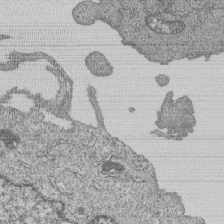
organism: Human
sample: MDA-MB-231 cells